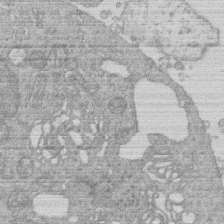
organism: Human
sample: Macrophage cells